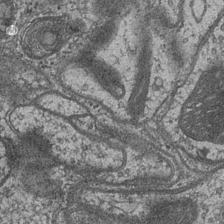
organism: Drosophila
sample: Optic medulla